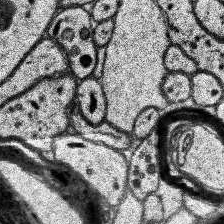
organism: Human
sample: Temporal Lobe